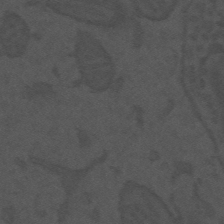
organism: Mouse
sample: Suprachiasmatic nucleus